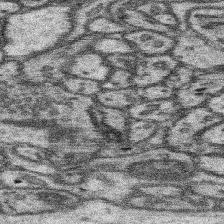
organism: Mouse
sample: Somatosensory cortex neuropil